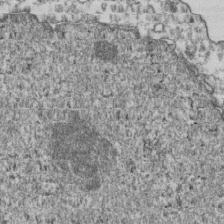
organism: Human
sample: Activated Jurkat CD4+ T cells